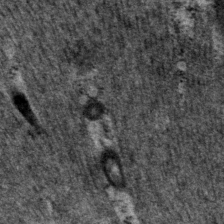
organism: P. pacificus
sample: Pharynx